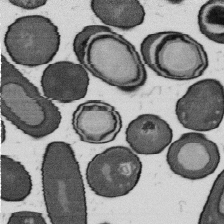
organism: B. subtilis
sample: Bacterial spore